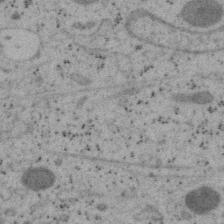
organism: Human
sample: HeLa cells